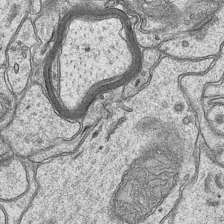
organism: Mouse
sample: CA1 Hippocampus